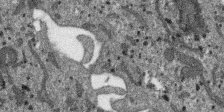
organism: Human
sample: Lung epithelial cells infected with SARS-CoV-2